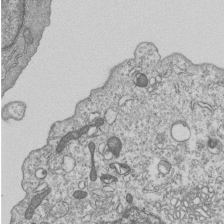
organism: Human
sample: MDA-MB-231 cells